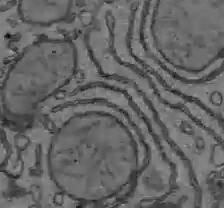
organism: C57BL Mouse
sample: Liver